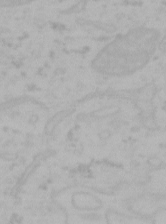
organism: Mouse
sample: Choroid plexus